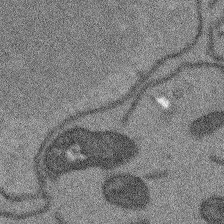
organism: Arabidopsis thaliana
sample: Root tip